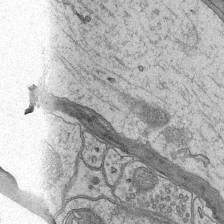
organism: Mouse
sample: CA1 Hippocampus